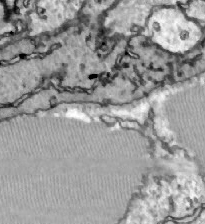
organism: Zebrafish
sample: Actinotrichia fibers